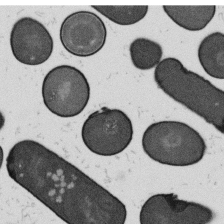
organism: B. subtilis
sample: Bacterial spore